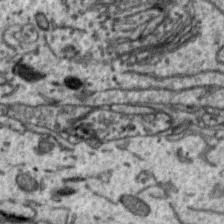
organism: Zebra finch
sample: Brain